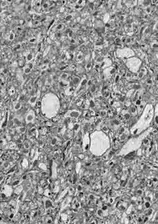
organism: Drosophila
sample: Optic lobe